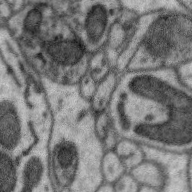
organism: Zebra finch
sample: Brain